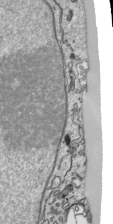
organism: Human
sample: Mitochondria in HCT116 cells